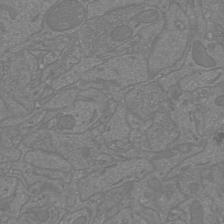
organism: Mouse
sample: Cortical neurons